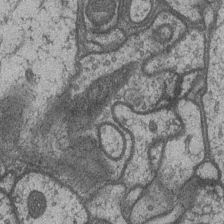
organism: Drosophila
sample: Optic medulla